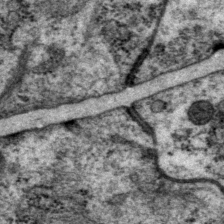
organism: P. pacificus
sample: Pharynx